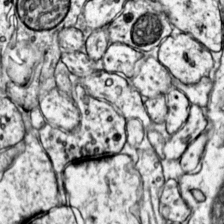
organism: Mouse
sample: Primary visual cortex